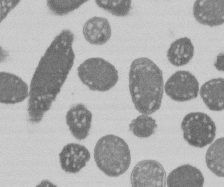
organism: E. coli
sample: Bacterial nucleoid